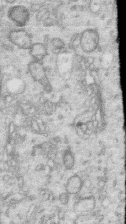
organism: Human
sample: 1205lu cells